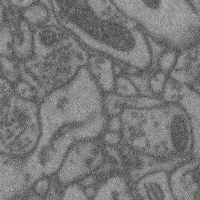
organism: Mouse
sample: Cerebral cortex